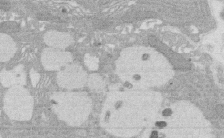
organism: Rat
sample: Salivary granule